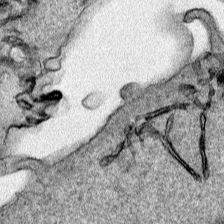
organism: Human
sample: Mitochondria in HCT116 cells